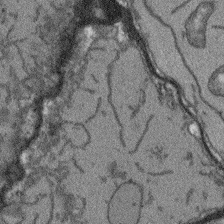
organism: Arabidopsis thaliana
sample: Root tip